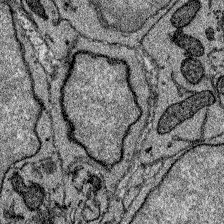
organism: Zebrafish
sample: Larval olfactory bulb